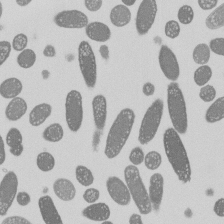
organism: E. coli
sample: Bacterial nucleoid